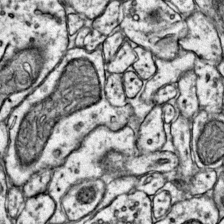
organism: Mouse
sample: Primary visual cortex